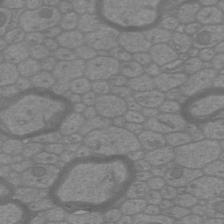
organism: Mouse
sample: Cortical neurons